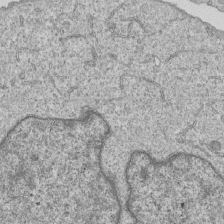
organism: Human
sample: MDA-MB-231 cells